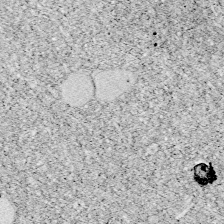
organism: Zebrafish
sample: Whole-Brain